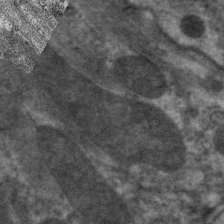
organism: C. elegans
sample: Pharynx